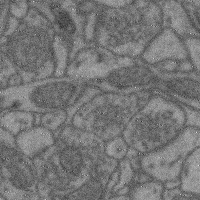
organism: Mouse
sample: Cerebral cortex